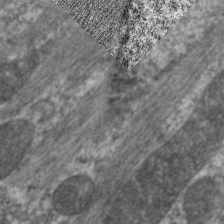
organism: C. elegans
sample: Pharynx